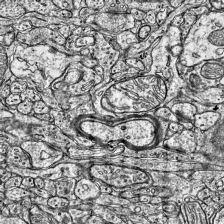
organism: Mouse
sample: Visual Cortex